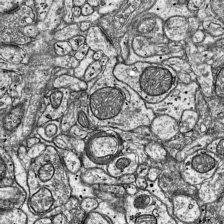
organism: Mouse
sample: Visual Cortex